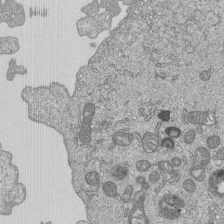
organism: Human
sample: MDA-MB-231 cells